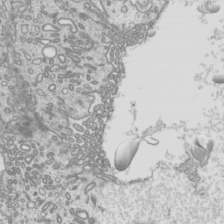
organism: Mouse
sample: Cilia; mouse epididymis